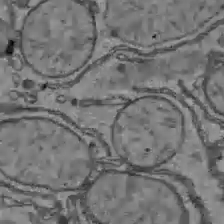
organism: C57BL Mouse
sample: Liver